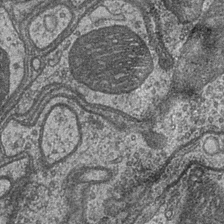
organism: Drosophila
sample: Optic medulla